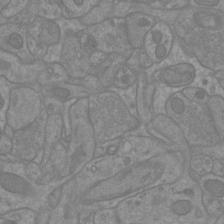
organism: Mouse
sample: Cortical neurons